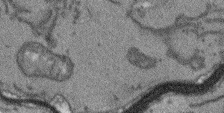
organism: Arabidopsis thaliana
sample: Root tip